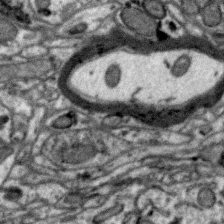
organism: Zebra finch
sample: Brain